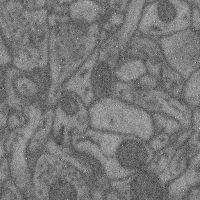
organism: Mouse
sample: Cerebral cortex